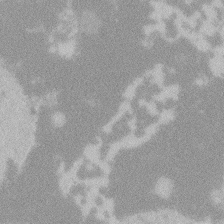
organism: Zebrafish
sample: Macrophage infected with Toxoplasma gondii